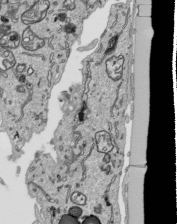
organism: Human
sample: Mitochondria in HCT116 cells